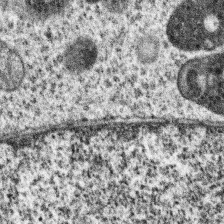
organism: Human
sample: HeLa cells